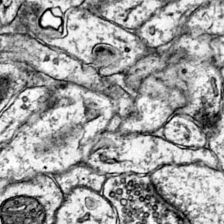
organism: Mouse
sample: Primary visual cortex